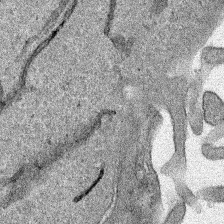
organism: Human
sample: Mitochondria in HCT116 cells